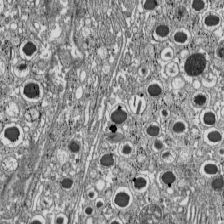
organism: C57BL Mouse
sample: Pancreatic islet